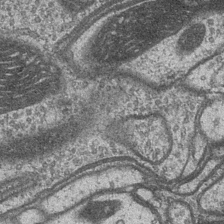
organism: Drosophila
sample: Optic medulla